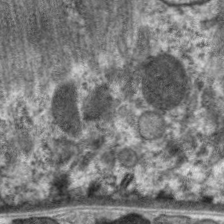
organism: C. elegans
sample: Pharynx